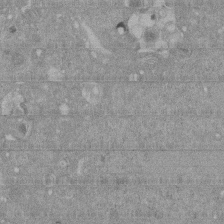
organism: Mouse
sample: ED-1 cell nuclei; centrioles